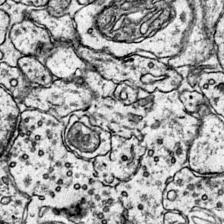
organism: Mouse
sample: Primary visual cortex